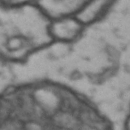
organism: Drosophila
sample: Brain